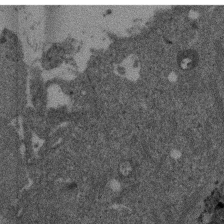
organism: Mouse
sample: Dividing mouse embryo 1 cell stage